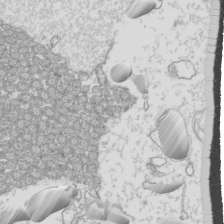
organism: Mouse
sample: Cilia; mouse epididymis